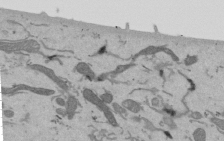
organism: Mouse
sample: ED-1 cell nuclei; centrioles